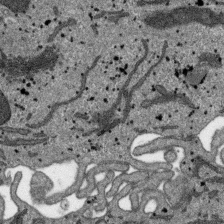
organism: Human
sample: Lung epithelial cells, uninfected (mock) control